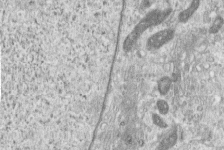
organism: Human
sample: Centriole in RPE cells